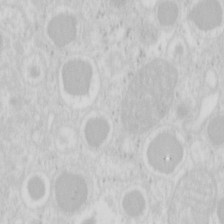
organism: Mouse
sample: Pancreas